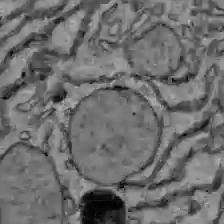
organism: C57BL Mouse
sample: Liver